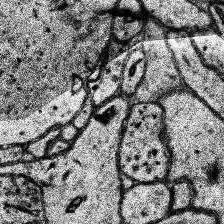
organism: Human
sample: Temporal Lobe